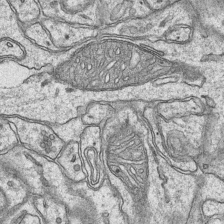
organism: Mouse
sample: CA1 Hippocampus